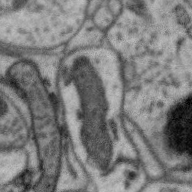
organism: Zebra finch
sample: Brain